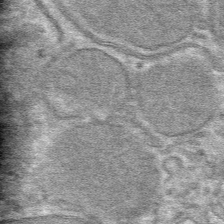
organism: Mouse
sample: Mouse hepatocytes